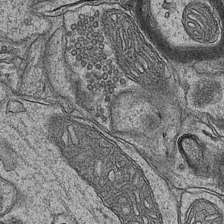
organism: Mouse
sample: CA1 Hippocampus